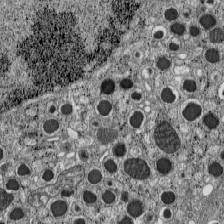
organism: C57BL Mouse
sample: Pancreatic islet